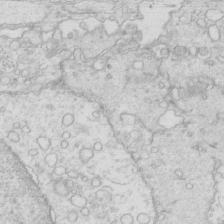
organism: Mouse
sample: Multiciliated cells